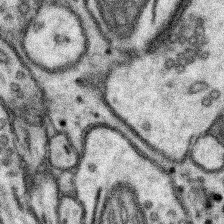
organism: Mouse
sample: Somatosensory cortex neuropil